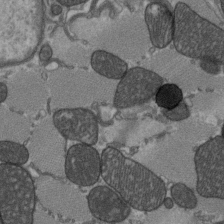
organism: C57BL Mouse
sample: Heart